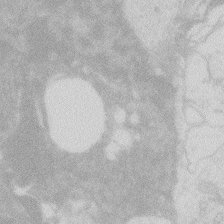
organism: Zebrafish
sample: Macrophage